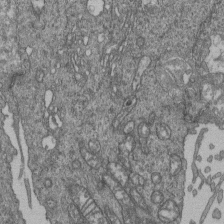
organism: Human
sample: Retinal organoid Rod and Cone cells